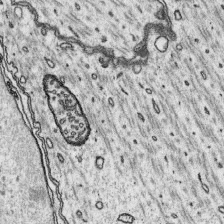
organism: Platynereis dumerilii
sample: Parapodia